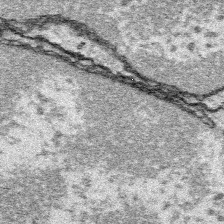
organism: Platynereis dumerilii